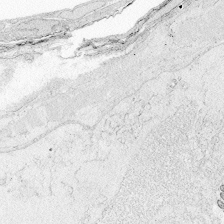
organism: Zebrafish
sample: Whole-Brain